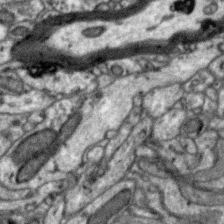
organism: Zebra finch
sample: Brain